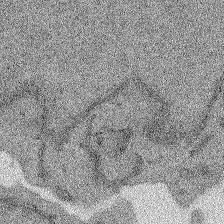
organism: Human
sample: HeLa cells